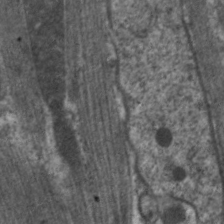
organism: C. elegans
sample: Pharynx